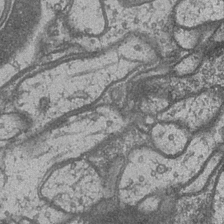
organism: Drosophila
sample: Optic medulla